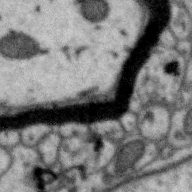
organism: Zebra finch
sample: Brain